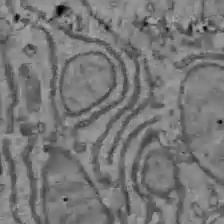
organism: C57BL Mouse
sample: Liver